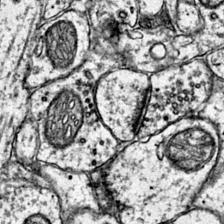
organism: Mouse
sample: Primary visual cortex